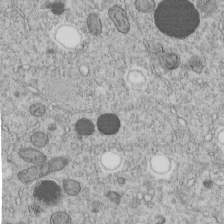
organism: C. elegans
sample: C. elegans embryo early stage